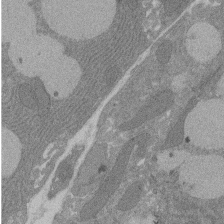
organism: Rat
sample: Salivary granule